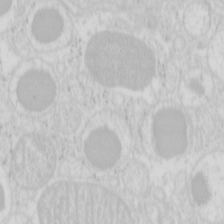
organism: Mouse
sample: Pancreas